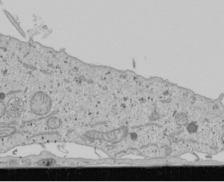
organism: Human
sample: Mitochondria in U2OS cells